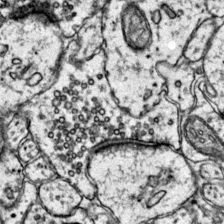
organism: Mouse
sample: Primary visual cortex